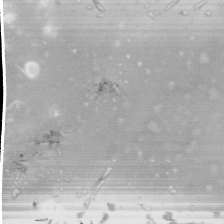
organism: Drosophila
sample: Cell division; meiosis; drosophila spermatocytes